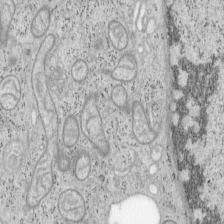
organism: Mouse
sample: OT-I killer T cells with ID8 ovarian cancer cells